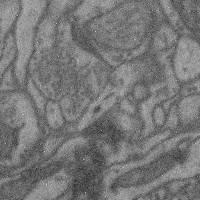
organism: Mouse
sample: Cerebral cortex